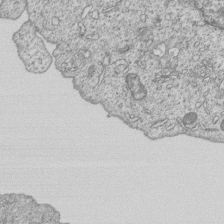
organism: Human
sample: MDA-MB-231 cells